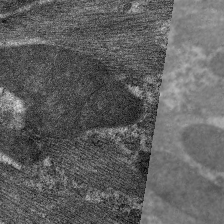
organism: C. elegans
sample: Pharynx